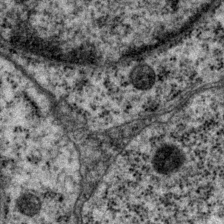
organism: P. pacificus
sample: Pharynx